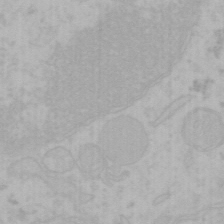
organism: Mouse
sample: Choroid plexus